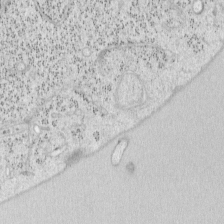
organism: Mouse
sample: OT-I killer T cells with ID8 ovarian cancer cells